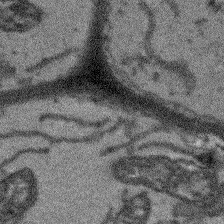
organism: Arabidopsis thaliana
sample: Root tip